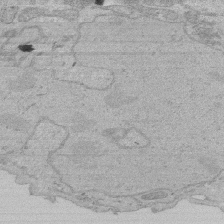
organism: Human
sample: Activated Jurkat CD4+ T cells